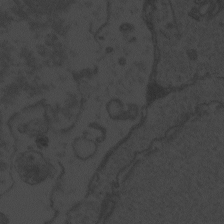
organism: Zebrafish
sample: Macrophage infected with Toxoplasma gondii